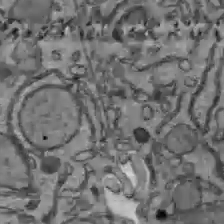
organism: C57BL Mouse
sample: Liver